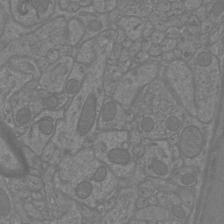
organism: Mouse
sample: Cortical neurons